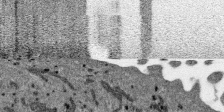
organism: Human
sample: Lung epithelial cells, uninfected (mock) control